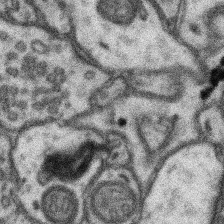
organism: Mouse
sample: Somatosensory cortex neuropil